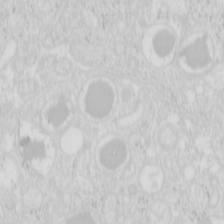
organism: Mouse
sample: Pancreas